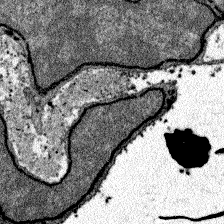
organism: Zebrafish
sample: Larval olfactory bulb